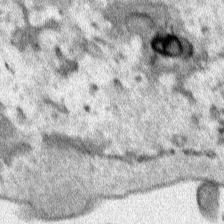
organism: Human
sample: Mitochondria in HCT116 cells